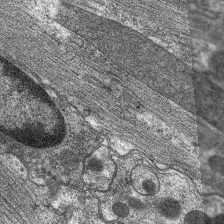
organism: C. elegans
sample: Pharynx